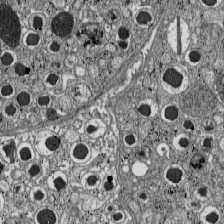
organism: C57BL Mouse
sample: Pancreatic islet